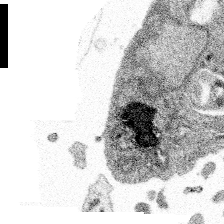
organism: Spongilla lacustris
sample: Multiple